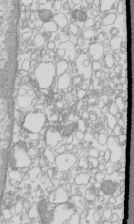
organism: Mouse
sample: Macrophages